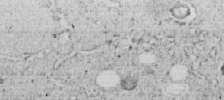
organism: C. elegans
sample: C. elegans embryo early stage